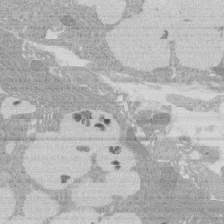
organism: Rat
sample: Salivary granule